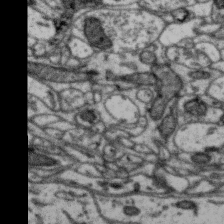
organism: Zebra finch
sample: Brain